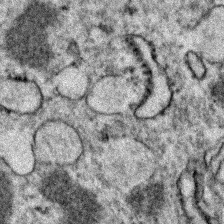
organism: Zebrafish